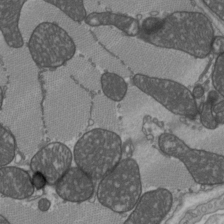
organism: C57BL Mouse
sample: Heart